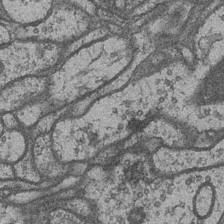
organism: Drosophila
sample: Optic medulla